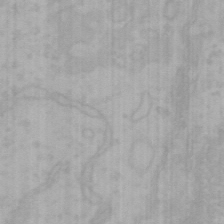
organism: Mouse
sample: Choroid plexus